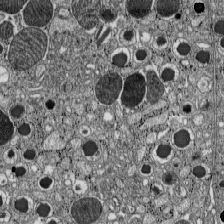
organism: C57BL Mouse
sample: Pancreatic islet